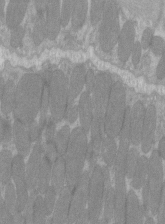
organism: C57BL Mouse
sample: Tibialis anterior muscle cell